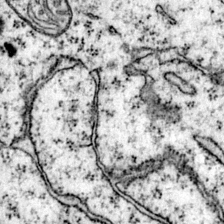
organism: Mouse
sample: Primary visual cortex